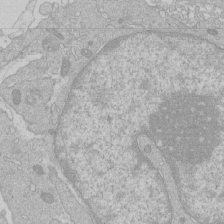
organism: Human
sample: Macrophage cells